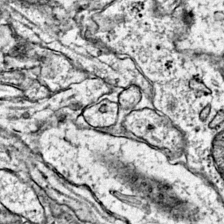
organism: Mouse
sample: Primary visual cortex